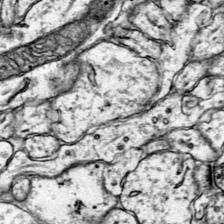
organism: Mouse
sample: Primary visual cortex